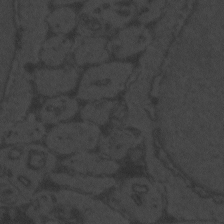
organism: Zebrafish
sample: Macrophage infected with Toxoplasma gondii